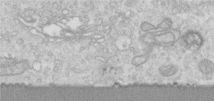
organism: Human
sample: Centriole in RPE cells